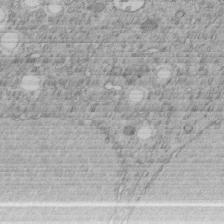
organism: C. elegans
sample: C. elegans embryo early stage